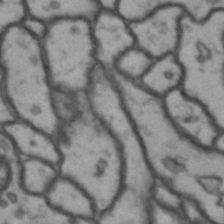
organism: Drosophila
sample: Brain